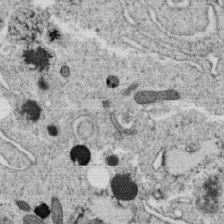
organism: C. elegans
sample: C. elegans oocyte; sperm cells